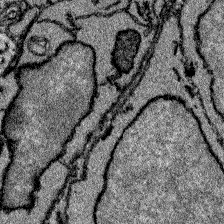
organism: Zebrafish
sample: Larval olfactory bulb